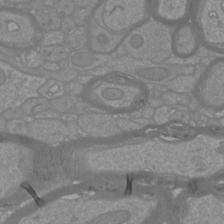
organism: Mouse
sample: Cortical neurons